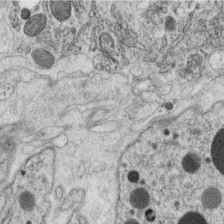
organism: C. elegans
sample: C. elegans oocyte; sperm cells